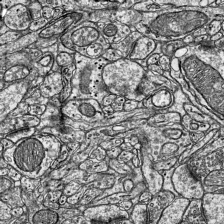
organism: Mouse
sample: Visual Cortex